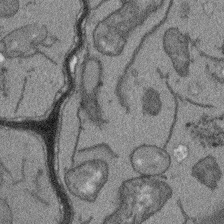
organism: Arabidopsis thaliana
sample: Root tip